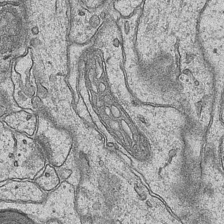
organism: Mouse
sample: CA1 Hippocampus